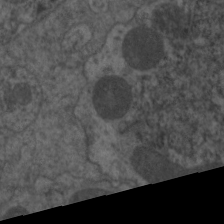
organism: C. elegans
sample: Pharynx